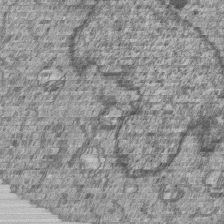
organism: Human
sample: MDA-MB-231 cells